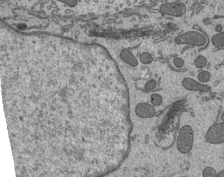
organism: Mouse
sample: Mouse epididymis efferent ductule cilia